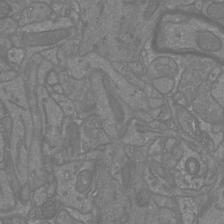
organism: Mouse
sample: Cortical neurons